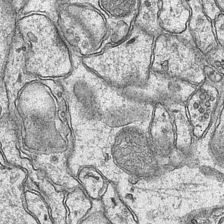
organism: Mouse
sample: CA1 Hippocampus